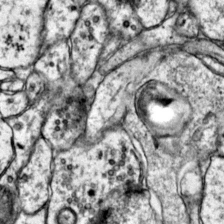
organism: Mouse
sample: Primary visual cortex